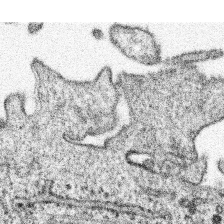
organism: Human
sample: HeLa cells